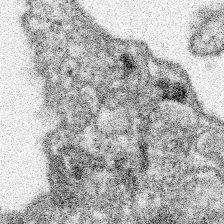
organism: Spongilla lacustris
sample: Neuroid cell